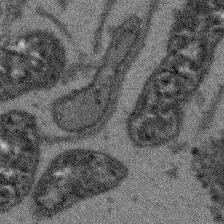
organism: Arabidopsis thaliana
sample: Root tip